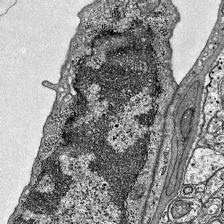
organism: Mouse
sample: Visual Cortex